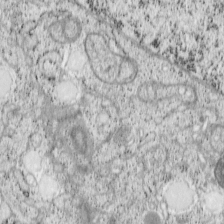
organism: African green monkey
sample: COS-7 cells